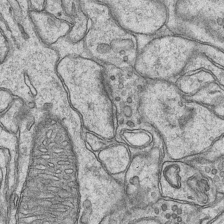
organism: Mouse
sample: CA1 Hippocampus